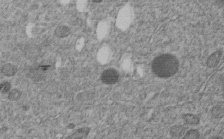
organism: C. elegans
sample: C. elegans embryo early stage